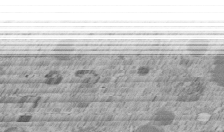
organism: C. elegans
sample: C. elegans embryo early stage